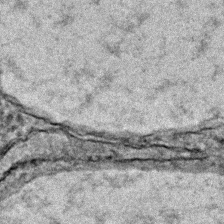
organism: Zebrafish